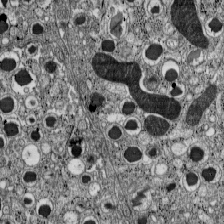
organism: C57BL Mouse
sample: Pancreatic islet